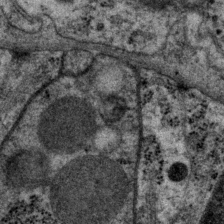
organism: P. pacificus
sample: Pharynx